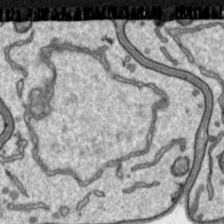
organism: Toxoplasma gondii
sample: Parasites in a vacuole inside a host cell